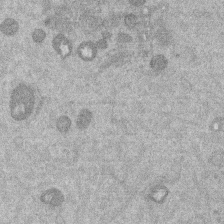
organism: Mouse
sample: Dividing mouse embryo 1 cell stage